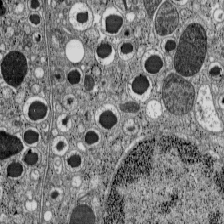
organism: C57BL Mouse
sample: Pancreatic islet